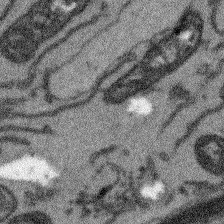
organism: Arabidopsis thaliana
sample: Root tip